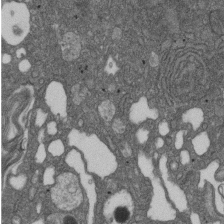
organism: Drosophila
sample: Nephrocyte